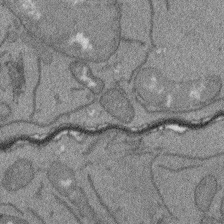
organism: Arabidopsis thaliana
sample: Root tip